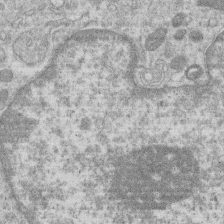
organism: Human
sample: Macrophage cells